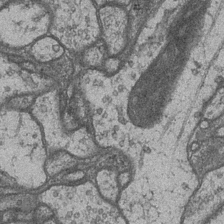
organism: Drosophila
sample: Optic medulla